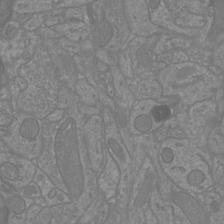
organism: Mouse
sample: Cortical neurons